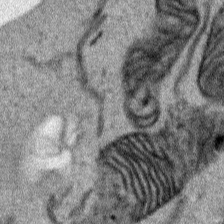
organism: Human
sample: Mitochondria in HCT116 cells